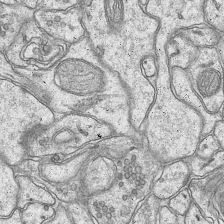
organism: Mouse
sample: CA1 Hippocampus